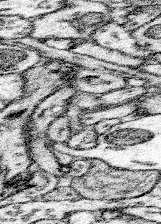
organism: Mouse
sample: Somatosensory cortex neuropil